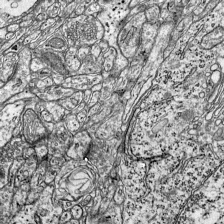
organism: Mouse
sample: Visual Cortex